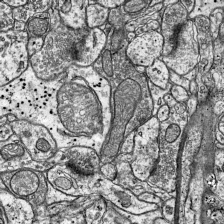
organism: Mouse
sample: Visual Cortex